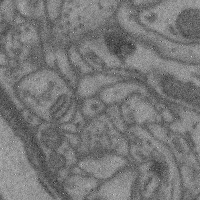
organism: Mouse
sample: Cerebral cortex